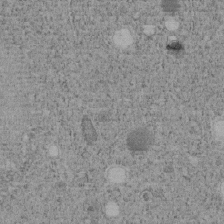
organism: C. elegans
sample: C. elegans embryo early stage